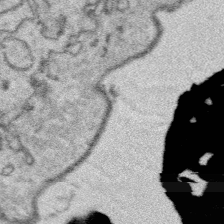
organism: Platynereis dumerilii